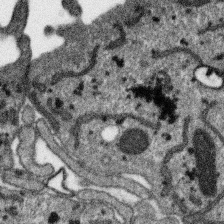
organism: Human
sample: Lung epithelial cells infected with SARS-CoV-2